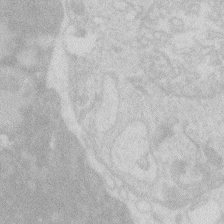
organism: Zebrafish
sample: Macrophage